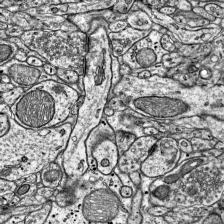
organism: Mouse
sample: Visual Cortex